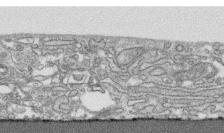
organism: Human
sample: CRL-1474